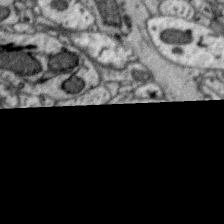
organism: Zebra finch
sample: Brain